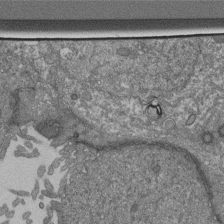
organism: Human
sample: Retinal organoid Rod and Cone cells